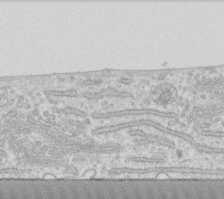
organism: Human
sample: Fibroblast cells